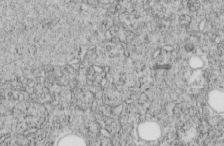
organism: C. elegans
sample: C. elegans embryo early stage